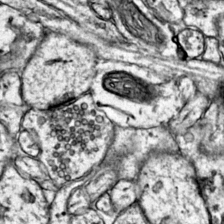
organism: Mouse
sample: Primary visual cortex